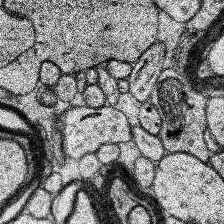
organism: Human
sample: Temporal Lobe